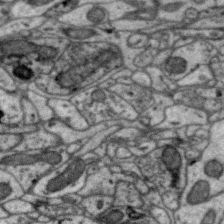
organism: Zebra finch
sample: Brain